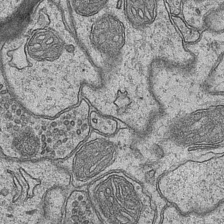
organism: Mouse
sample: CA1 Hippocampus